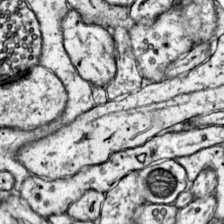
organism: Mouse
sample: Primary visual cortex